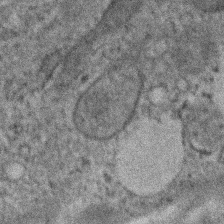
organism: Human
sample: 1205lu cells